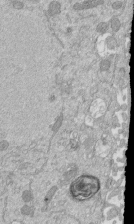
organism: Mouse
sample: ED-1 cell nuclei; centrioles